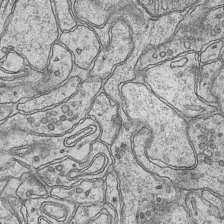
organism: Mouse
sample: CA1 Hippocampus